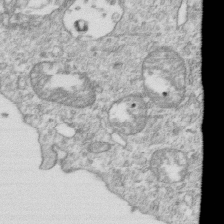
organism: Mouse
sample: Activated OT-1 CD8+ T cells